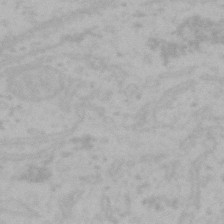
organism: Mouse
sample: Choroid plexus